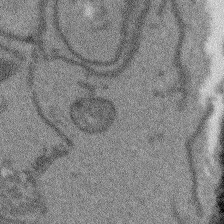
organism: Arabidopsis thaliana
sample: Root tip